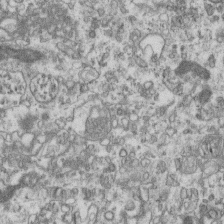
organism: Mouse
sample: Centriole in ependymal cells